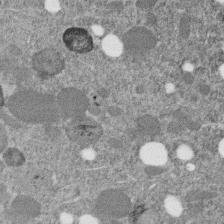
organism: C. elegans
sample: C. elegans embryo early stage